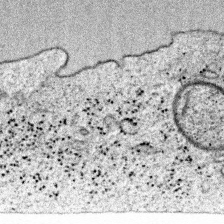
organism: Human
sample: HeLa cells